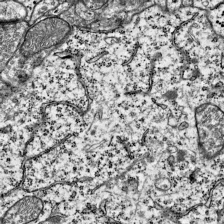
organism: Mouse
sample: Visual Cortex